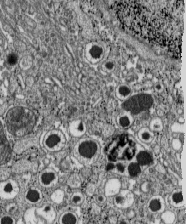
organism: C57BL Mouse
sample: Pancreatic islet